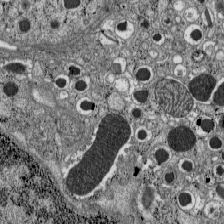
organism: C57BL Mouse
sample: Pancreatic islet